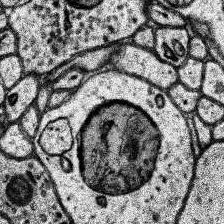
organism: Human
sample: Temporal Lobe